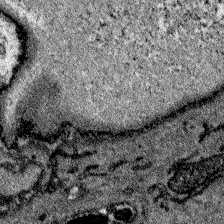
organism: Zebrafish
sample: Larval olfactory bulb